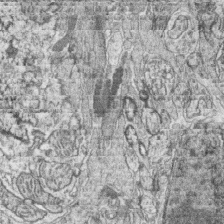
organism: Zebrafish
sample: synaptic ribbons in rod cells and cone cells